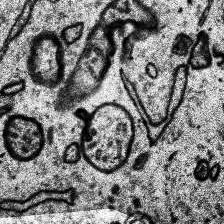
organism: Human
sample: Temporal Lobe